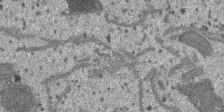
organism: Human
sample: Lung epithelial cells infected with SARS-CoV-2